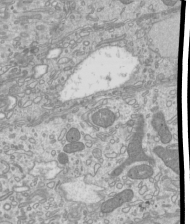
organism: Mouse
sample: Cilia; mouse epididymis